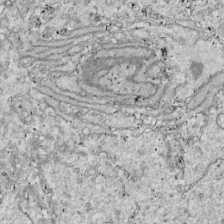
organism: Drosophila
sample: Cell division; meiosis; drosophila spermatocytes